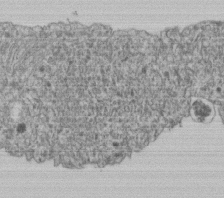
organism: Human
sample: Retinal organoid Rod and Cone cells